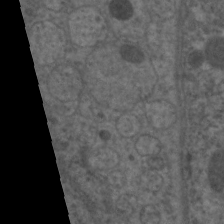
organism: C. elegans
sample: Pharynx